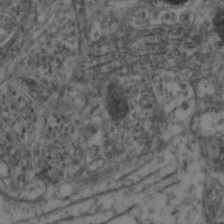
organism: Mouse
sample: Neocortex